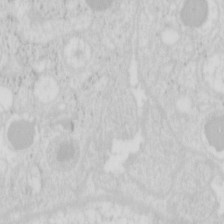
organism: Mouse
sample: Pancreas